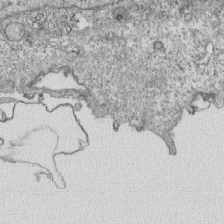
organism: Human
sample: HeLa cell HIV synapse